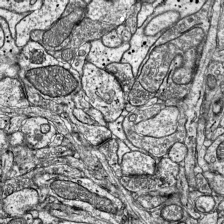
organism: Mouse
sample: Visual Cortex